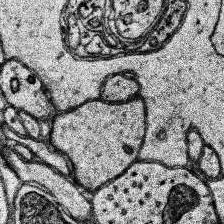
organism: Human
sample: Temporal Lobe